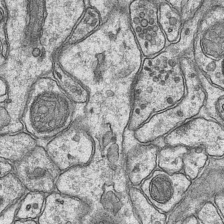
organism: Mouse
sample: CA1 Hippocampus